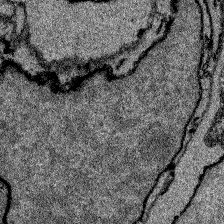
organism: Zebrafish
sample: Larval olfactory bulb